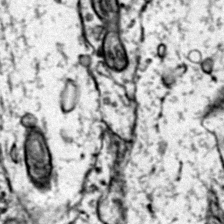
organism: Mouse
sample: Primary visual cortex